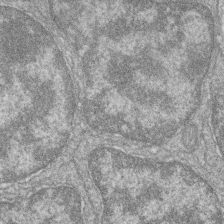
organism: Zebrafish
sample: Cilia; retinal pigment epithelium